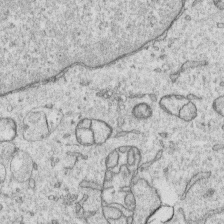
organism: Human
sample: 1205lu cells